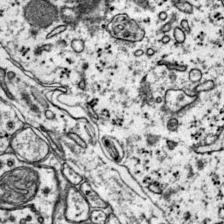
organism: Mouse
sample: Primary visual cortex